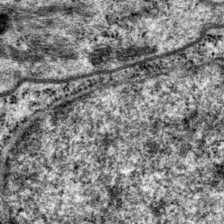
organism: P. pacificus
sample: Pharynx